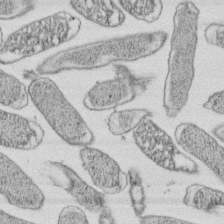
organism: E. coli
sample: Bacterial nucleoid